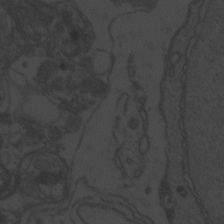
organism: Zebrafish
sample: Macrophage infected with Toxoplasma gondii